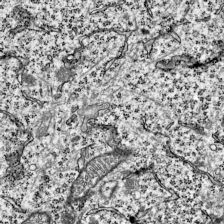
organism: Mouse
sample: Visual Cortex